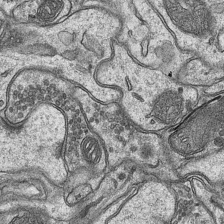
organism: Mouse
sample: CA1 Hippocampus